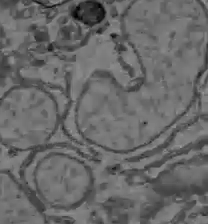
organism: C57BL Mouse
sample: Liver